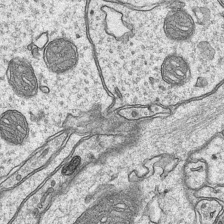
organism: Mouse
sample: CA1 Hippocampus